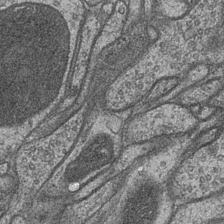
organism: Drosophila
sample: Optic medulla